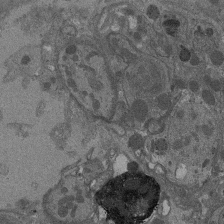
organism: Drosophila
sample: Antenna